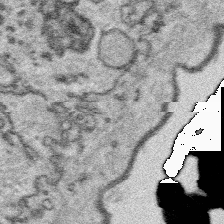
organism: Platynereis dumerilii